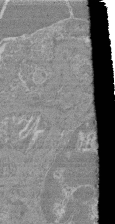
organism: Mouse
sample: Glomerulus